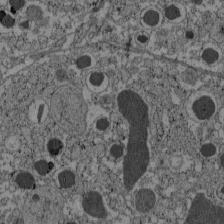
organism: C57BL Mouse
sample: Pancreatic islet